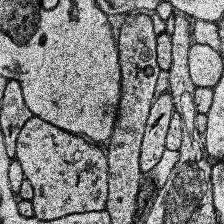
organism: Human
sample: Temporal Lobe